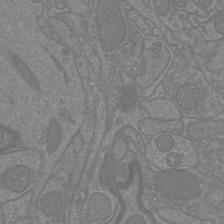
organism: Mouse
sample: Cortical neurons